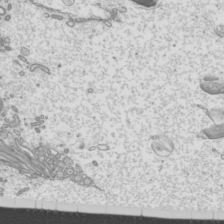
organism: Mouse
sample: Cilia; mouse epididymis